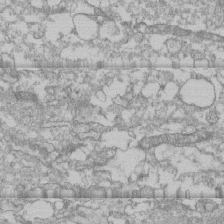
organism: Human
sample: CRL-1474